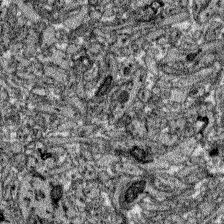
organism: Zebrafish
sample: Larval olfactory bulb